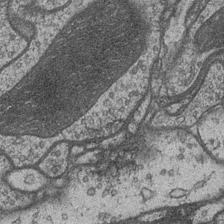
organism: Drosophila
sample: Optic medulla